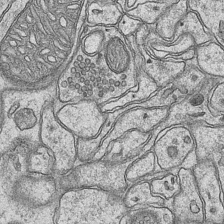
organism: Mouse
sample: CA1 Hippocampus